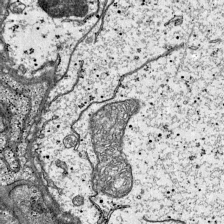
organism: Mouse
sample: Visual Cortex